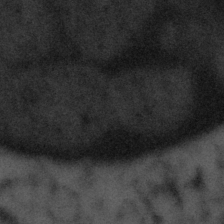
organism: Tuwongella immobilis